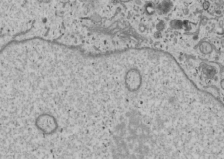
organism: Human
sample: Mitochondria in U2OS cells